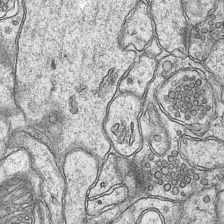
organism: Mouse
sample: CA1 Hippocampus